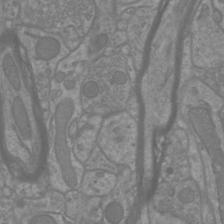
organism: Mouse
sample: Cortical neurons